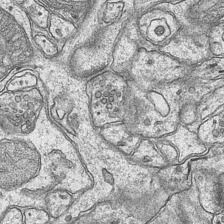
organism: Mouse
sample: CA1 Hippocampus